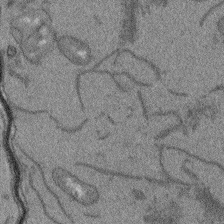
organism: Arabidopsis thaliana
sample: Root tip